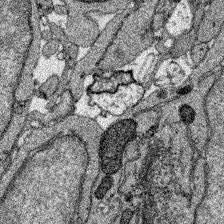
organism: Zebrafish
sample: Larval olfactory bulb